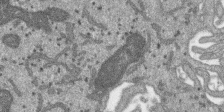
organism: Human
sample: Lung epithelial cells infected with SARS-CoV-2